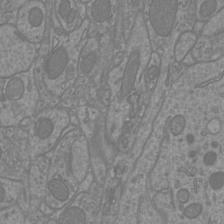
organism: Mouse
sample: Cortical neurons